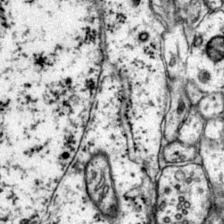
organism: Mouse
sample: Primary visual cortex